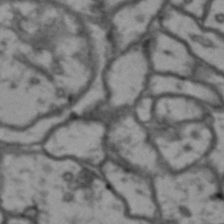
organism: Drosophila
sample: Brain